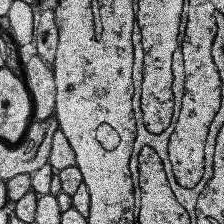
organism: Human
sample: Temporal Lobe